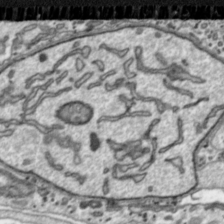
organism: Toxoplasma gondii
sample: Parasites in a vacuole inside a host cell